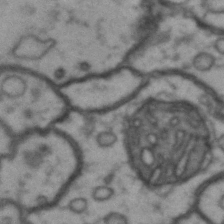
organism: Drosophila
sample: Brain